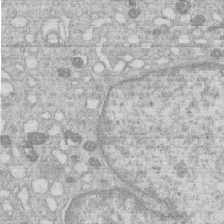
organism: Human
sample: Macrophage cells